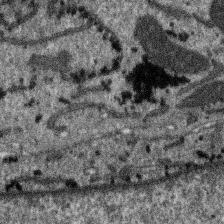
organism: Human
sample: Lung epithelial cells infected with SARS-CoV-2